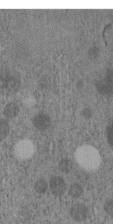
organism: C. elegans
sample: C. elegans embryo early stage